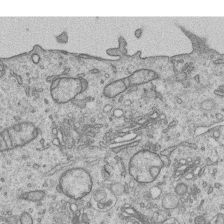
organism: Human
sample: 1205lu cells